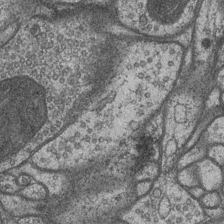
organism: Drosophila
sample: Optic medulla